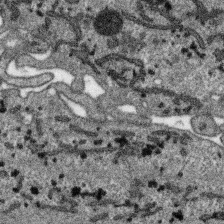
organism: Human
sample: Lung epithelial cells infected with SARS-CoV-2